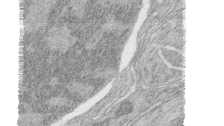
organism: Zebrafish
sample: synaptic ribbons in rod cells and cone cells